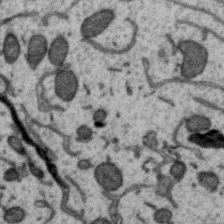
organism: Zebra finch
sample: Brain